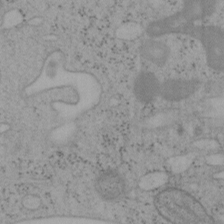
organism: Mouse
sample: OT-I killer T cells with ID8 ovarian cancer cells